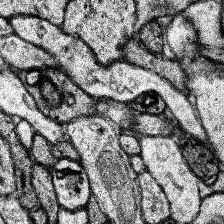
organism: Human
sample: Temporal Lobe